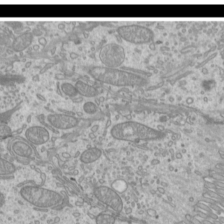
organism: Mouse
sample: Cilia; mouse epididymis